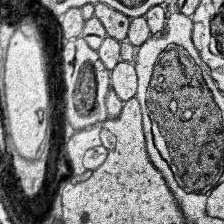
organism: Human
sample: Temporal Lobe